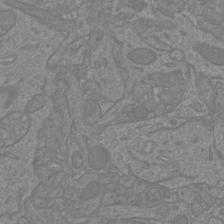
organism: Mouse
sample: Cortical neurons